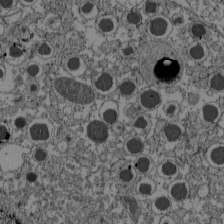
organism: C57BL Mouse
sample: Pancreatic islet